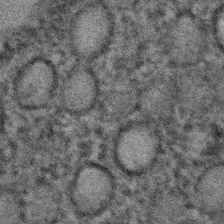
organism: C. elegans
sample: C. elegans embryo